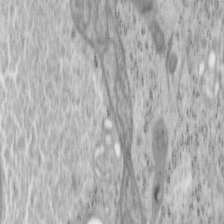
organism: Human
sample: HeLa cells